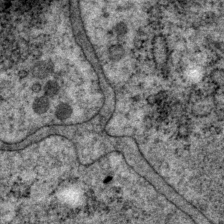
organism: P. pacificus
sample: Pharynx